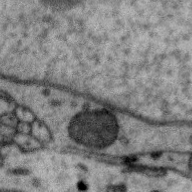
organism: Zebra finch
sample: Brain